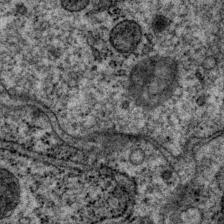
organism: P. pacificus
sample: Pharynx